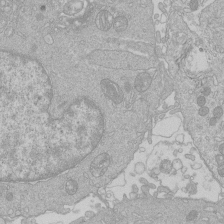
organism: Human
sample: Macrophage cells